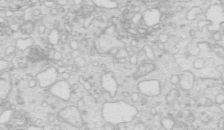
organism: Mouse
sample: Multiciliated cells